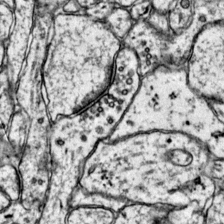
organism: Mouse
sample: Primary visual cortex